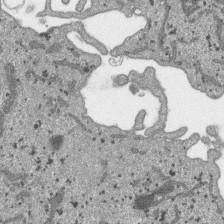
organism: Human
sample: Lung epithelial cells infected with SARS-CoV-2